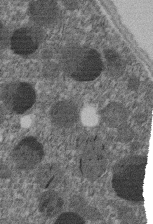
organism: C. elegans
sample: C. elegans embryo early stage